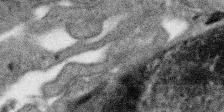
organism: Human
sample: Lung epithelial cells infected with SARS-CoV-2